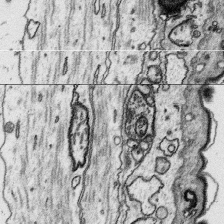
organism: Platynereis dumerilii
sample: Parapodia